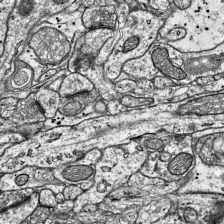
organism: Mouse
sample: Visual Cortex